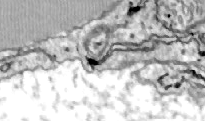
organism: Zebrafish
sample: Actinotrichia fibers